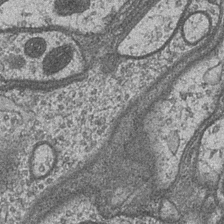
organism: Drosophila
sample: Optic medulla